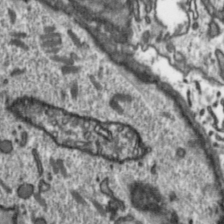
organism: Toxoplasma gondii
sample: Parasites in a vacuole inside a host cell